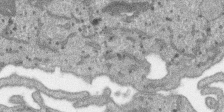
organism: Human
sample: Lung epithelial cells infected with SARS-CoV-2